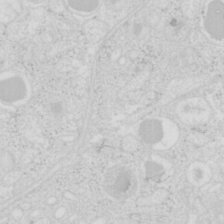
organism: Mouse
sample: Pancreas